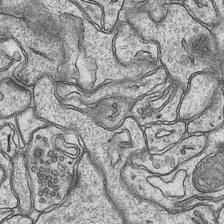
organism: Mouse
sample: CA1 Hippocampus